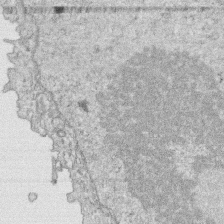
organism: Human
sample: HeLa cell HIV synapse